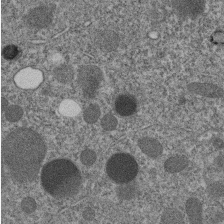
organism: C. elegans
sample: C. elegans embryo early stage